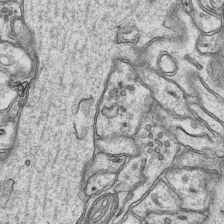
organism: Mouse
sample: CA1 Hippocampus